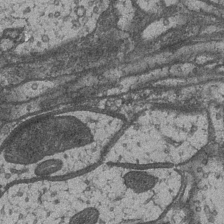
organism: Drosophila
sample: Optic medulla